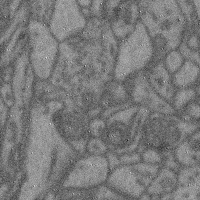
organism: Mouse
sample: Cerebral cortex